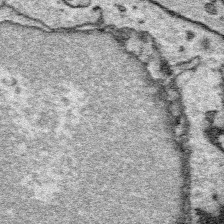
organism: Platynereis dumerilii